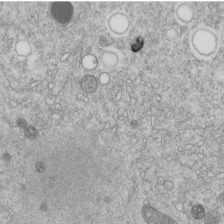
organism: C. elegans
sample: C. elegans embryo early stage